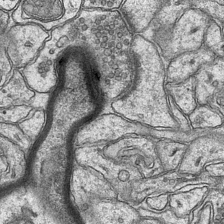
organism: Mouse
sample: CA1 Hippocampus